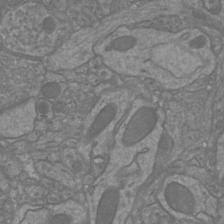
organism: Mouse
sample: Cortical neurons